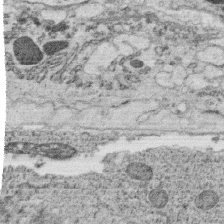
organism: C. elegans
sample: C. elegans oocyte; sperm cells